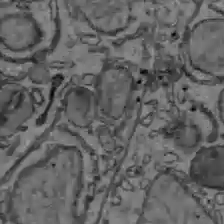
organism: C57BL Mouse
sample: Liver